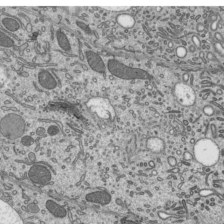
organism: Mouse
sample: Mouse epididymis efferent ductule cilia